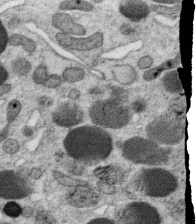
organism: C. elegans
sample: C. elegans oocyte; sperm cells